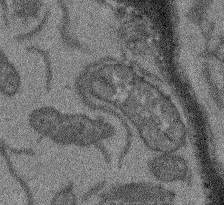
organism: Arabidopsis thaliana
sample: Root tip